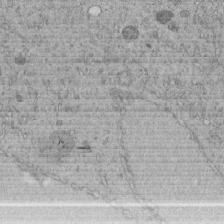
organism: C. elegans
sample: C. elegans embryo early stage